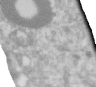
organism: Human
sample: Centriole in RPE cells